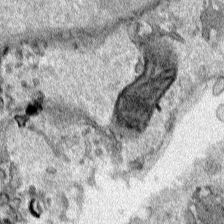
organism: Human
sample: Mitochondria in HCT116 cells